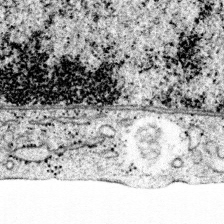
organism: Human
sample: HeLa cells